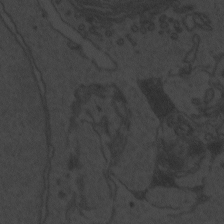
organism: Zebrafish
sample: Macrophage infected with Toxoplasma gondii